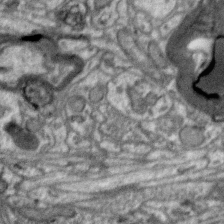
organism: Zebra finch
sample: Brain